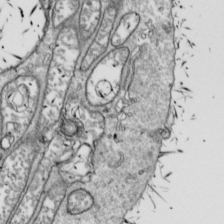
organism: Drosophila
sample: Cell division; meiosis; drosophila spermatocytes